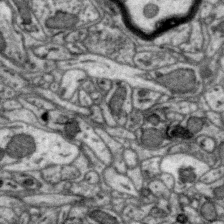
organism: Zebra finch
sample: Brain